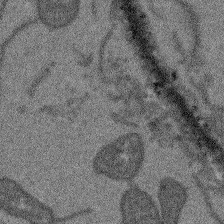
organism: Arabidopsis thaliana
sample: Root tip